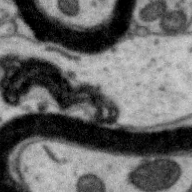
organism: Zebra finch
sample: Brain